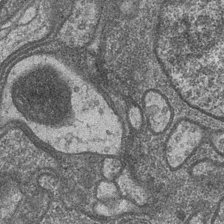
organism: Drosophila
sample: Optic medulla